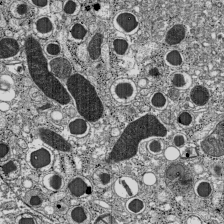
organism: C57BL Mouse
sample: Pancreatic islet